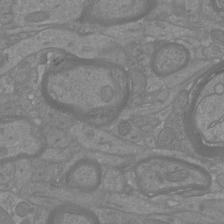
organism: Mouse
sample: Cortical neurons